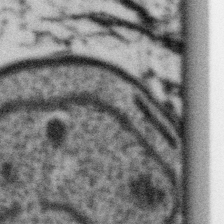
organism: Gemmata obscuriglobus